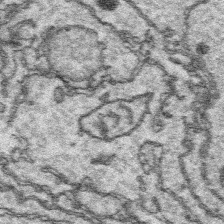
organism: Platynereis dumerilii